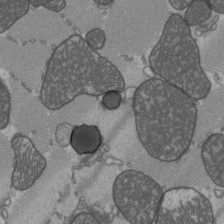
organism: C57BL Mouse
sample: Heart